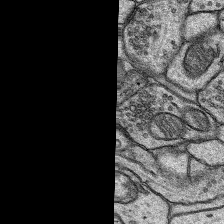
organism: Rat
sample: Hippocampus